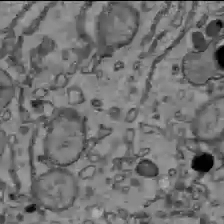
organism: C57BL Mouse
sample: Liver